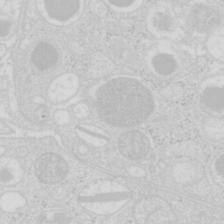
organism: Mouse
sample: Pancreas